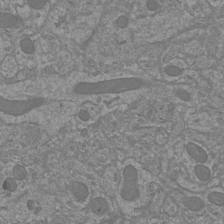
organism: Mouse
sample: Cortical neurons